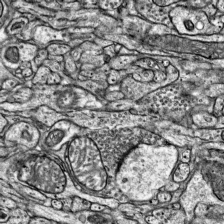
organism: Mouse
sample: Visual Cortex